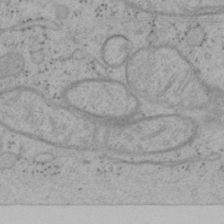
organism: Human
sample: HeLa cells